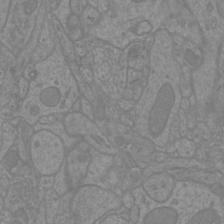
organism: Mouse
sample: Cortical neurons